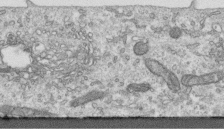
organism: Human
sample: Centriole in RPE cells